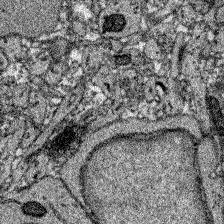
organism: Zebrafish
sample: Larval olfactory bulb